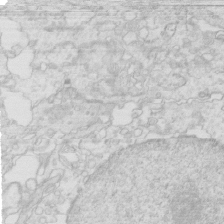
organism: Mouse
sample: Multiciliated cells